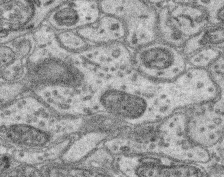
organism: Mouse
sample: Retina